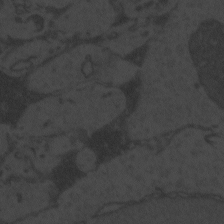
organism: Zebrafish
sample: Macrophage infected with Toxoplasma gondii